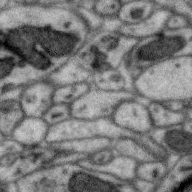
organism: Zebra finch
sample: Brain